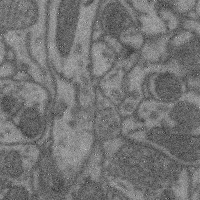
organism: Mouse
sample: Cerebral cortex